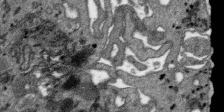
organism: Human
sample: Lung epithelial cells, uninfected (mock) control